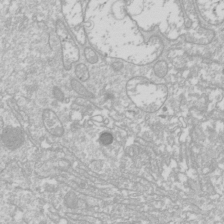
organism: Drosophila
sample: Cell division; meiosis; drosophila spermatocytes